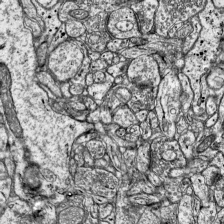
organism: Mouse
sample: Visual Cortex